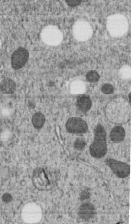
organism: C. elegans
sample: C. elegans embryo early stage